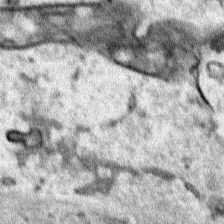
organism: Human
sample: Mitochondria in HCT116 cells